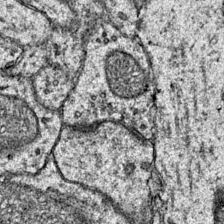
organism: Mouse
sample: Primary visual cortex